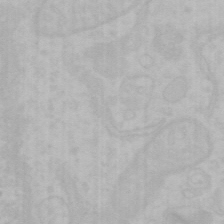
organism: Mouse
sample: Choroid plexus